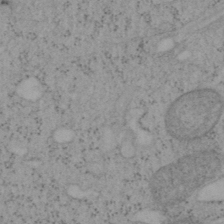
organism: Mouse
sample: OT-I killer T cells with ID8 ovarian cancer cells